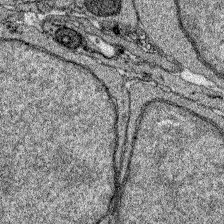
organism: Zebrafish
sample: Larval olfactory bulb